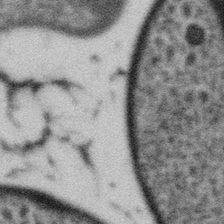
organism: Gemmata obscuriglobus